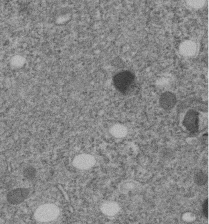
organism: C. elegans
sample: C. elegans embryo early stage